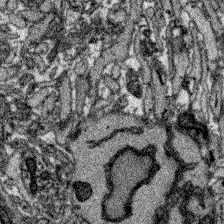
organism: Zebrafish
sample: Larval olfactory bulb